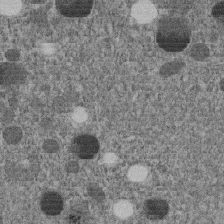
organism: C. elegans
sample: C. elegans embryo early stage